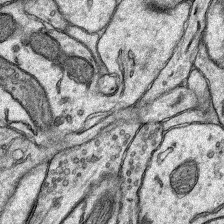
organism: Rat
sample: Hippocampus